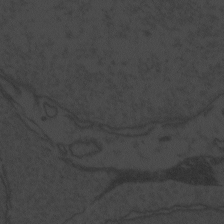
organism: Zebrafish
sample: Macrophage infected with Toxoplasma gondii